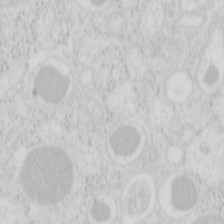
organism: Mouse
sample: Pancreas